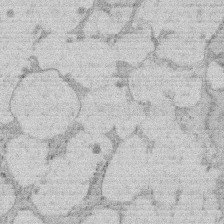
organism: Rat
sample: Salivary granule